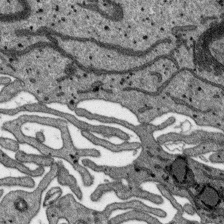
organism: Human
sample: Lung epithelial cells, uninfected (mock) control